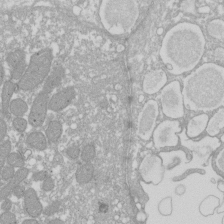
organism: Xenopus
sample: Cilia; centrioles in frog embryo cells